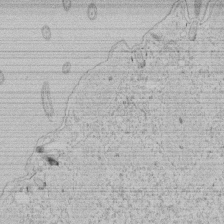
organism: Tetrahymena